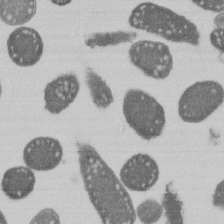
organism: E. coli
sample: Bacterial nucleoid